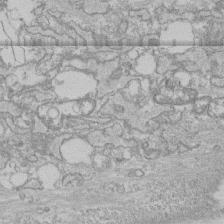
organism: Human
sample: CRL-1474